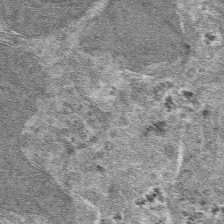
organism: Mouse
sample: Mouse hepatocytes